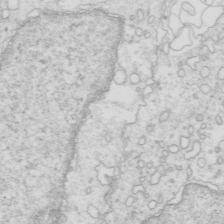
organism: Mouse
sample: Multiciliated cells